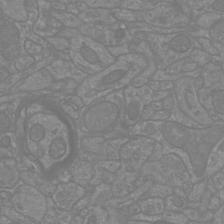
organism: Mouse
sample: Cortical neurons